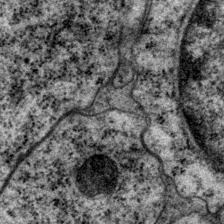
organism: P. pacificus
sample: Pharynx